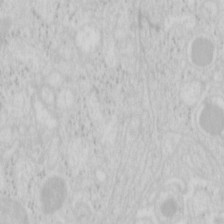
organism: Mouse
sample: Pancreas